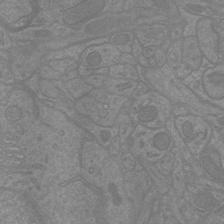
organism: Mouse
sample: Cortical neurons